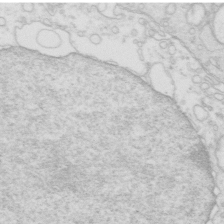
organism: Mouse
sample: Multiciliated cells